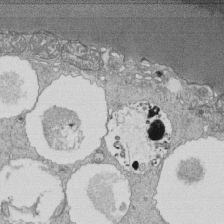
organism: Tetrahymena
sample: Cilia in tetrahymena